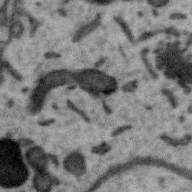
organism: Zebra finch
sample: Brain